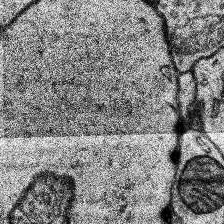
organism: Human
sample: Temporal Lobe